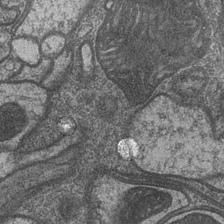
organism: Drosophila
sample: Optic medulla